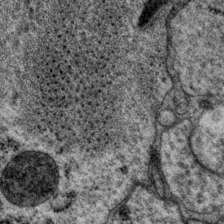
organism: P. pacificus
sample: Pharynx